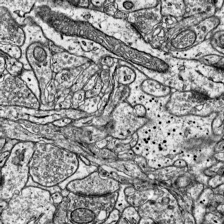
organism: Mouse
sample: Visual Cortex